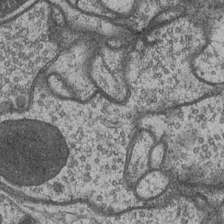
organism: Drosophila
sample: Optic medulla